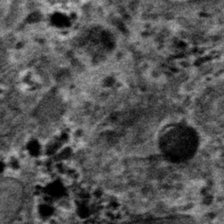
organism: Mouse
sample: Mouse hepatocytes